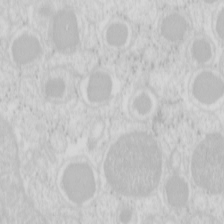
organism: Mouse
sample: Pancreas